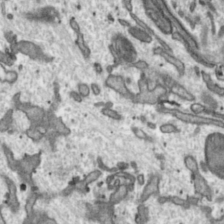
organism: Toxoplasma gondii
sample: Parasites in a vacuole inside a host cell